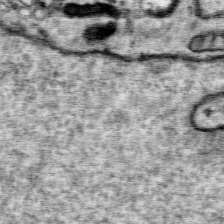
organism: Human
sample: HeLa cells